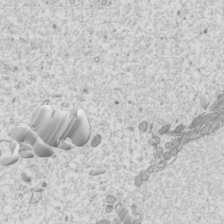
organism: Mouse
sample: Cilia; mouse epididymis